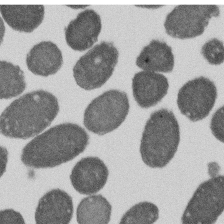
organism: E. coli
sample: Bacterial nucleoid